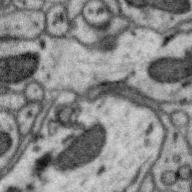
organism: Zebra finch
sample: Brain